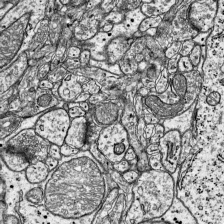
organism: Mouse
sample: Visual Cortex